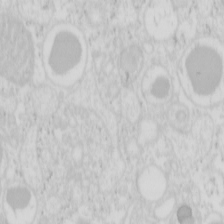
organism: Mouse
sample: Pancreas